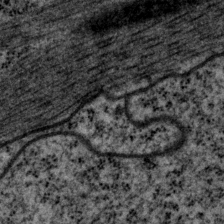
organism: P. pacificus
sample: Pharynx